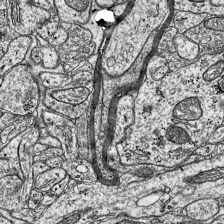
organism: Mouse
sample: Visual Cortex